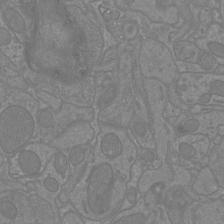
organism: Mouse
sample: Cortical neurons